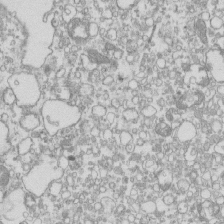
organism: Mouse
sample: Macrophages